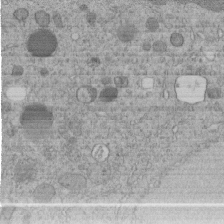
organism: C. elegans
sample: C. elegans embryo early stage